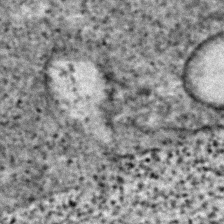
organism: C. elegans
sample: C. elegans embryo